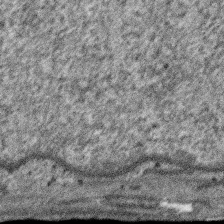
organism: Human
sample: Lung epithelial cells infected with SARS-CoV-2